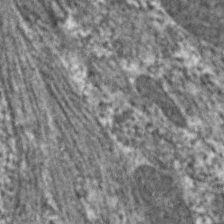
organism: C. elegans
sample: Pharynx